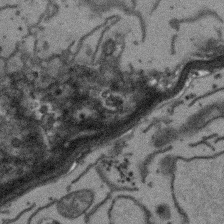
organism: Arabidopsis thaliana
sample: Root tip